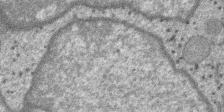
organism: Human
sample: Lung epithelial cells infected with SARS-CoV-2